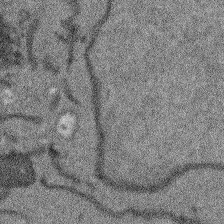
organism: Arabidopsis thaliana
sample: Root tip